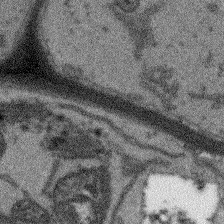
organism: Arabidopsis thaliana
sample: Root tip